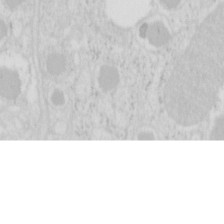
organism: Mouse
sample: Pancreas